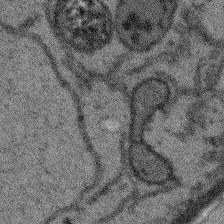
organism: Arabidopsis thaliana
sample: Root tip